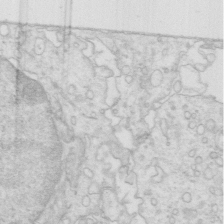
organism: Mouse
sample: Multiciliated cells